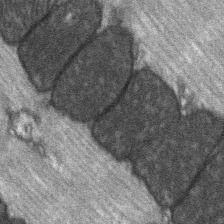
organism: C57BL Mouse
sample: Soleus